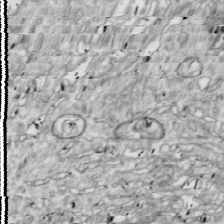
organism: Drosophila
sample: Cell division; meiosis; drosophila spermatocytes